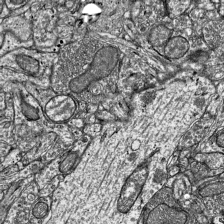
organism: Mouse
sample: Visual Cortex